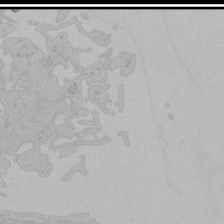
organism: Human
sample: Mitochondria in HCT116 cells